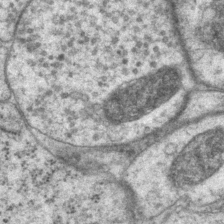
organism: P. pacificus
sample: Pharynx